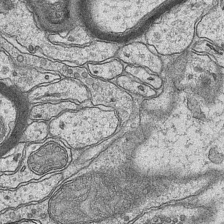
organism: Mouse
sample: CA1 Hippocampus